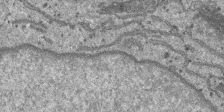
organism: Human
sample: Lung epithelial cells infected with SARS-CoV-2